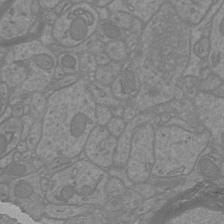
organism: Mouse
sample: Cortical neurons